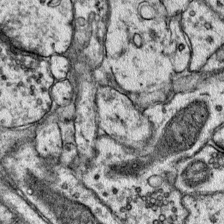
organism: Mouse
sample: Primary visual cortex